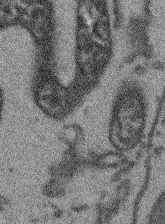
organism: Arabidopsis thaliana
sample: Root tip